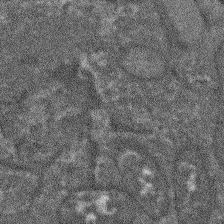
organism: Arabidopsis thaliana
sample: Root tip